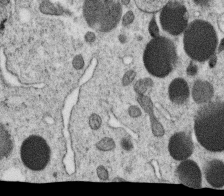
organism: C. elegans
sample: C. elegans oocyte; sperm cells